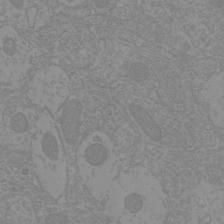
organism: Mouse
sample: Cortical neurons